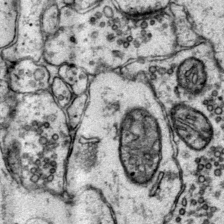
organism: Mouse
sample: Primary visual cortex